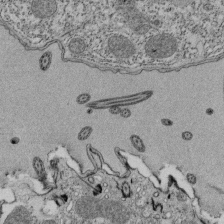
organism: Tetrahymena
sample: Cilia in tetrahymena